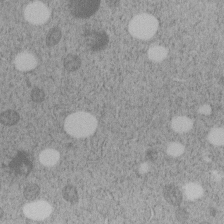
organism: C. elegans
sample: C. elegans embryo early stage